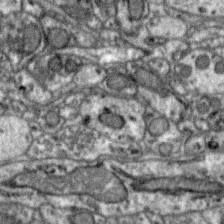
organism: Zebra finch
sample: Brain